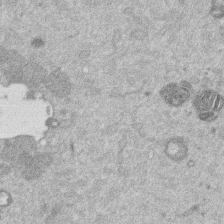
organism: Mouse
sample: Dividing mouse embryo 1 cell stage